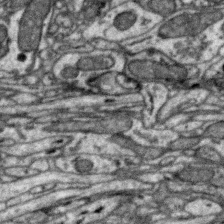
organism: Zebra finch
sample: Brain